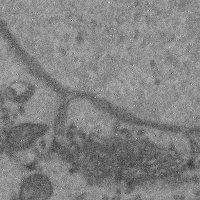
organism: Mouse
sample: Cerebral cortex